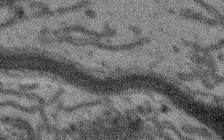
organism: Arabidopsis thaliana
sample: Root tip